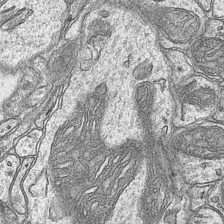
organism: Mouse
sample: CA1 Hippocampus